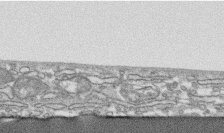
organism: Human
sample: CRL-1474